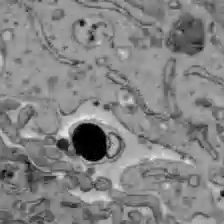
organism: C57BL Mouse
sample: Liver